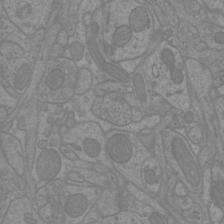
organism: Mouse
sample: Cortical neurons